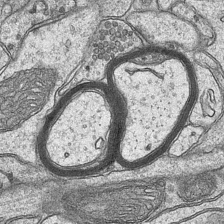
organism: Mouse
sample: CA1 Hippocampus